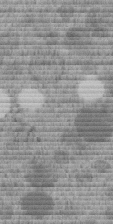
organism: C. elegans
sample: C. elegans embryo early stage